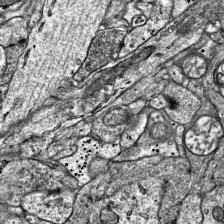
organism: Mouse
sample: Visual Cortex